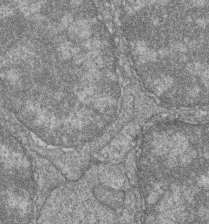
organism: Zebrafish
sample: Cilia; retinal pigment epithelium